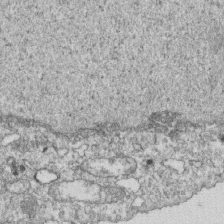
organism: Human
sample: HeLa cell HIV synapse